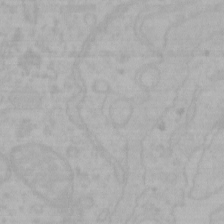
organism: Mouse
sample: Choroid plexus